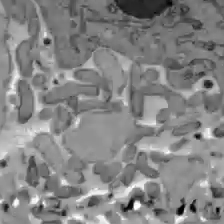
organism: C57BL Mouse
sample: Liver